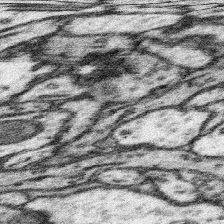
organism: Mouse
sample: Somatosensory cortex neuropil